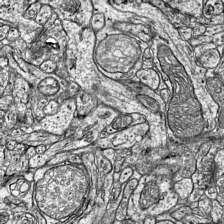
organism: Mouse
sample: Visual Cortex